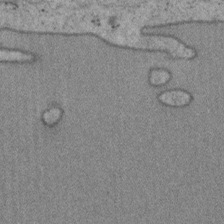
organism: Human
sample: HeLa cells